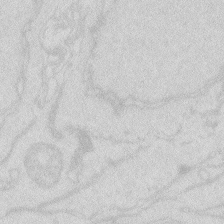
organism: Zebrafish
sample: Macrophage